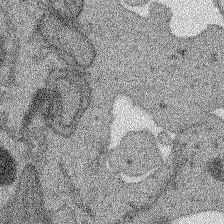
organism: Human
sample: HeLa cells